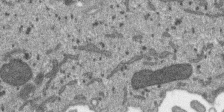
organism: Human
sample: Lung epithelial cells infected with SARS-CoV-2